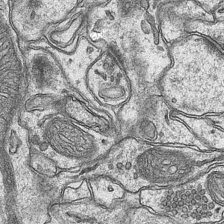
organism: Mouse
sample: CA1 Hippocampus